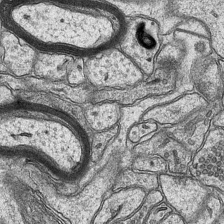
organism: Mouse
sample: CA1 Hippocampus